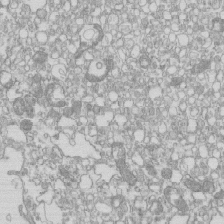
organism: Mouse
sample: Macrophages